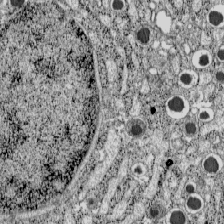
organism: C57BL Mouse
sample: Pancreatic islet